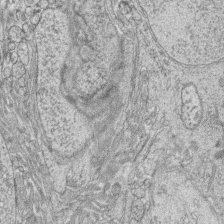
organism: Zebrafish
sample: synaptic ribbons in rod cells and cone cells